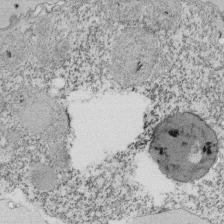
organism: Tetrahymena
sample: Cilia in tetrahymena